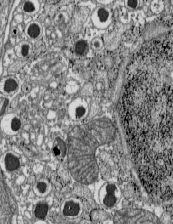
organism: C57BL Mouse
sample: Pancreatic islet